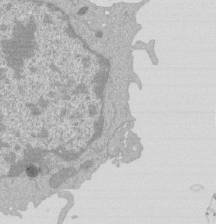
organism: Mouse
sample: Activated Pmel transgenic CD8+ T Cells